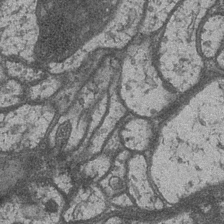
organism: Drosophila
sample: Optic medulla